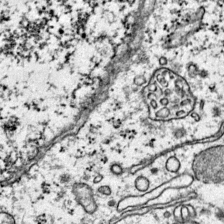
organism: Mouse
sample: Primary visual cortex